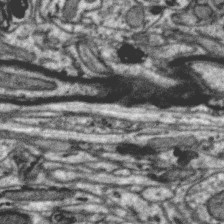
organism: Zebra finch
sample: Brain